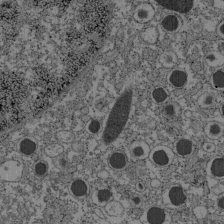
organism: C57BL Mouse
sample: Pancreatic islet